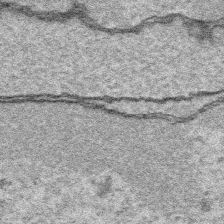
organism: Platynereis dumerilii